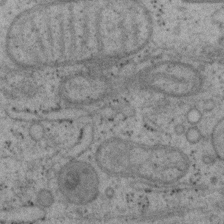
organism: Human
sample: HeLa cells